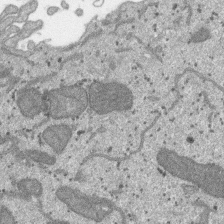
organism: Human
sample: Lung epithelial cells infected with SARS-CoV-2